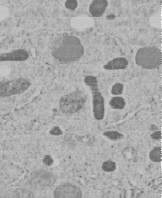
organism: C. elegans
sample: C. elegans embryo early stage